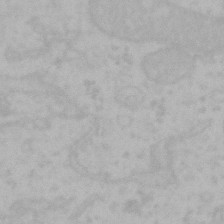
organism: Mouse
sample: Choroid plexus